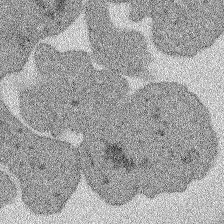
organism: Human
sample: HeLa cells